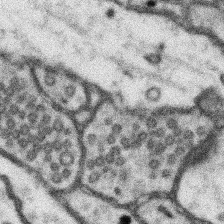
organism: Mouse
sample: Somatosensory cortex neuropil